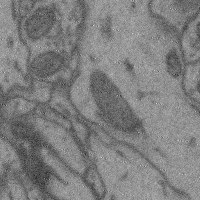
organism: Mouse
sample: Cerebral cortex